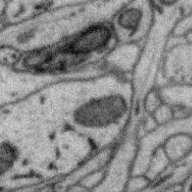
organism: Zebra finch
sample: Brain